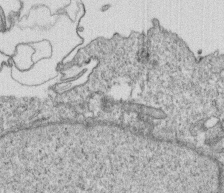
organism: Human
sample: HeLa cell HIV synapse